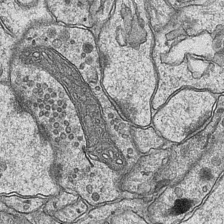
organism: Mouse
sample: CA1 Hippocampus